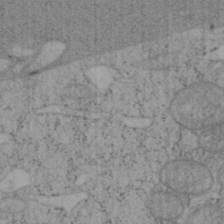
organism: Mouse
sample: OT-I killer T cells with ID8 ovarian cancer cells